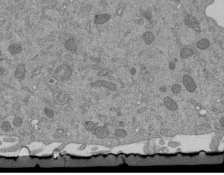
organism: Mouse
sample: ED-1 cell nuclei; centrioles